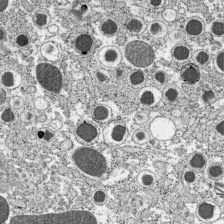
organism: C57BL Mouse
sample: Pancreatic islet